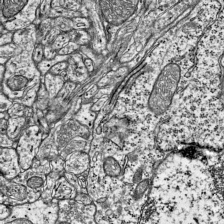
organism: Mouse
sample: Visual Cortex